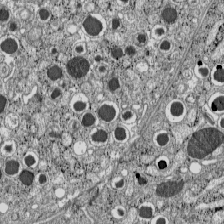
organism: C57BL Mouse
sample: Pancreatic islet